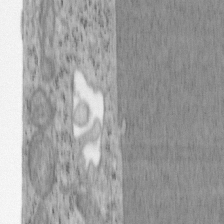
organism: Human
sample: HeLa cells